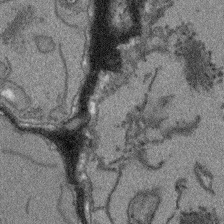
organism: Arabidopsis thaliana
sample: Root tip